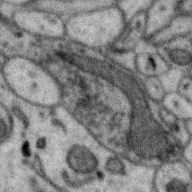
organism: Zebra finch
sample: Brain